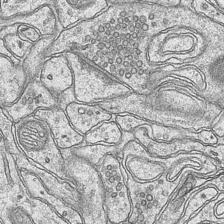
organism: Mouse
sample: CA1 Hippocampus